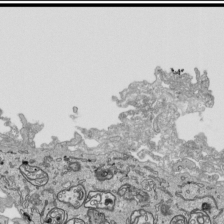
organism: Human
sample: Mitochondria in HCT116 cells